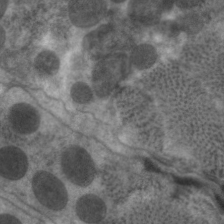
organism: C. elegans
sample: Pharynx